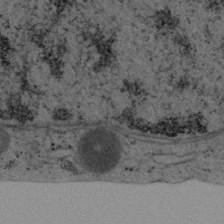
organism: Human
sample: HeLa cells